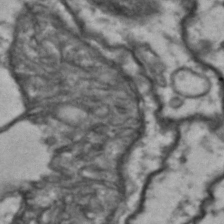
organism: Drosophila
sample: Brain